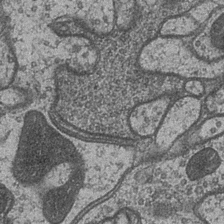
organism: Drosophila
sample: Optic medulla